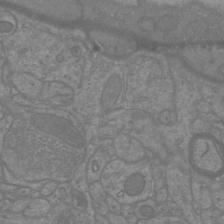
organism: Mouse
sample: Cortical neurons